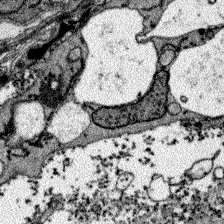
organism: Zebrafish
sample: Larval olfactory bulb